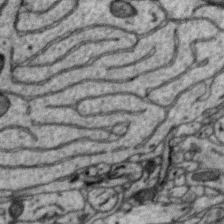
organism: Zebra finch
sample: Brain